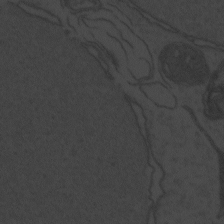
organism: Zebrafish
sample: Macrophage infected with Toxoplasma gondii